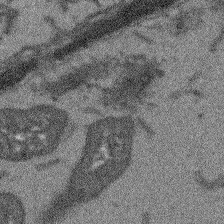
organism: Arabidopsis thaliana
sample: Root tip